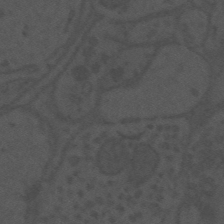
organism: Mouse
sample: Suprachiasmatic nucleus